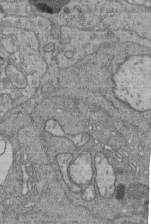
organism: Human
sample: Retinal organoid Rod and Cone cells